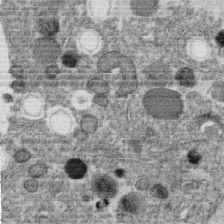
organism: C. elegans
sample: C. elegans oocyte; sperm cells